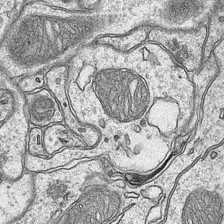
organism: Mouse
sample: CA1 Hippocampus